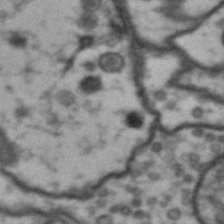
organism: Drosophila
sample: Brain